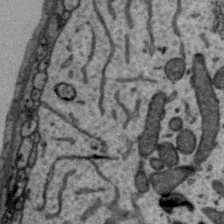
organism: Zebra finch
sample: Brain